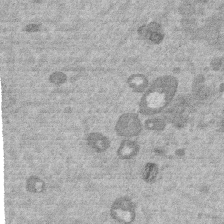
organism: Mouse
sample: Dividing mouse embryo 1 cell stage